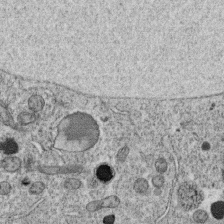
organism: C. elegans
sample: C. elegans oocyte; sperm cells